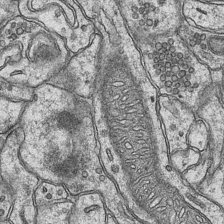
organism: Mouse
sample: CA1 Hippocampus